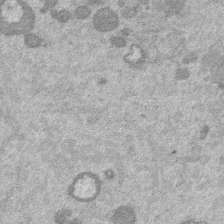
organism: Mouse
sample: Dividing mouse embryo 1 cell stage